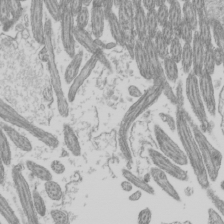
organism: Mouse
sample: Cilia; mouse epididymis